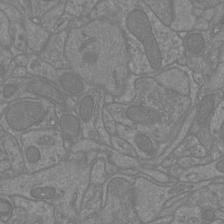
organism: Mouse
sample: Cortical neurons